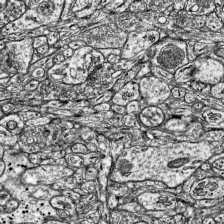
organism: Mouse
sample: Visual Cortex